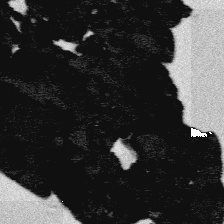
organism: Platynereis dumerilii